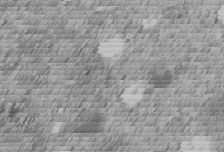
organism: C. elegans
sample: C. elegans embryo early stage